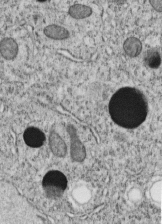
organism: C. elegans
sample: C. elegans embryo early stage